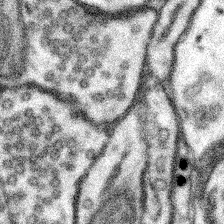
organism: Mouse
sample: Somatosensory cortex neuropil